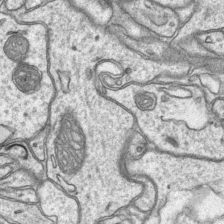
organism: Mouse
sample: CA1 Hippocampus